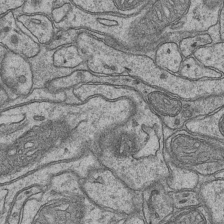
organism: Mouse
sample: CA1 Hippocampus